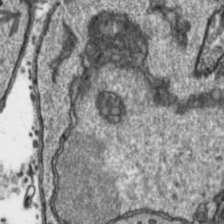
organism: Toxoplasma gondii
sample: Parasites in a vacuole inside a host cell